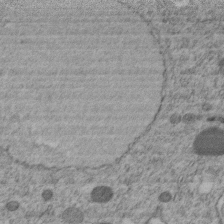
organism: C. elegans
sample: C. elegans embryo early stage